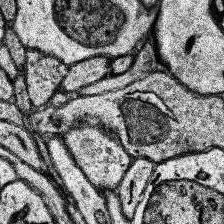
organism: Human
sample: Temporal Lobe